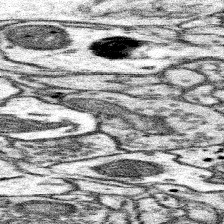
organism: Mouse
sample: Somatosensory cortex neuropil